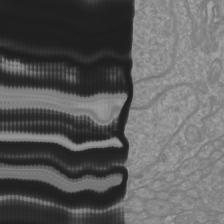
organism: Mouse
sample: Cortical neurons